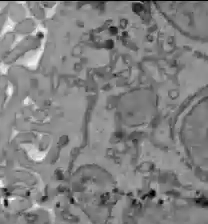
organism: C57BL Mouse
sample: Liver